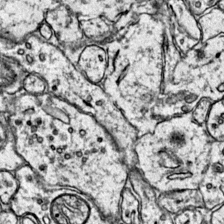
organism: Mouse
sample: Primary visual cortex